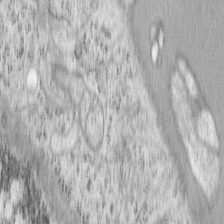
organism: Human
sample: HeLa cells